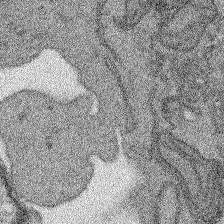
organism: Human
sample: HeLa cells